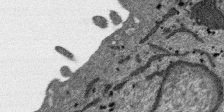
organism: Human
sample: Lung epithelial cells, uninfected (mock) control